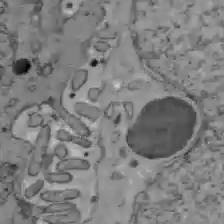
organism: C57BL Mouse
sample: Liver